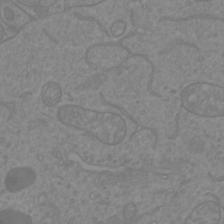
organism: Mouse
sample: Cortical neurons